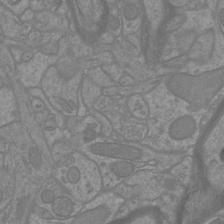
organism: Mouse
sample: Cortical neurons